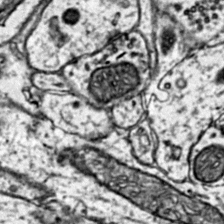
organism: Mouse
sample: Primary visual cortex